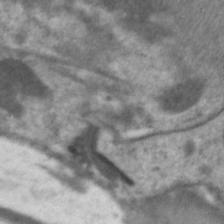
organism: C. elegans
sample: Pharynx